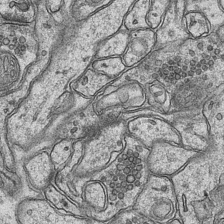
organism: Mouse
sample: CA1 Hippocampus